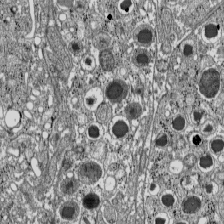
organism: C57BL Mouse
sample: Pancreatic islet